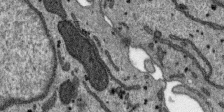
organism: Human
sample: Lung epithelial cells, uninfected (mock) control